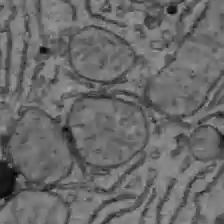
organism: C57BL Mouse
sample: Liver